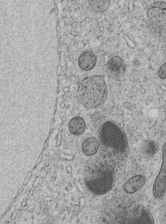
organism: C. elegans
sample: C. elegans embryo early stage